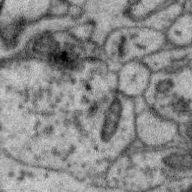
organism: Zebra finch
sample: Brain